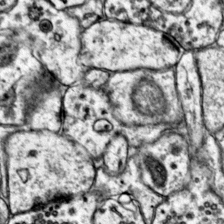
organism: Mouse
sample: Primary visual cortex